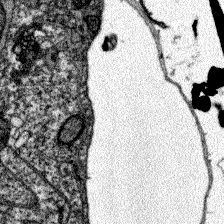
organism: Zebrafish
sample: Larval olfactory bulb